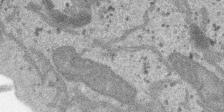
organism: Human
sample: Lung epithelial cells infected with SARS-CoV-2